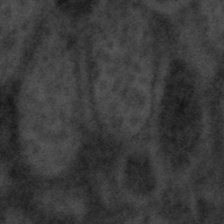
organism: Tuwongella immobilis